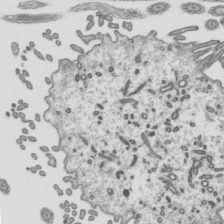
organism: Mouse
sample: Mouse epididymis efferent ductule cilia